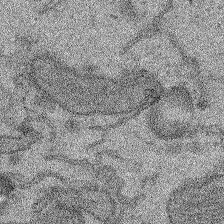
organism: Human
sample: HeLa cells